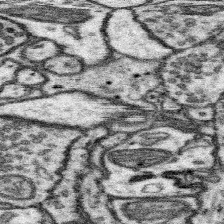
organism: Mouse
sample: Somatosensory cortex neuropil